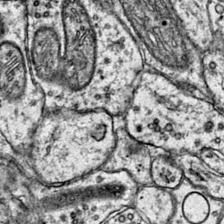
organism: Mouse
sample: Primary visual cortex